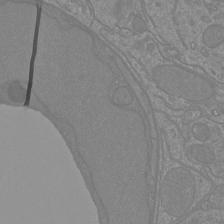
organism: Mouse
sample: Cortical neurons